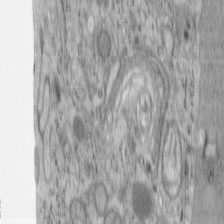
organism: Human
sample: HeLa cells